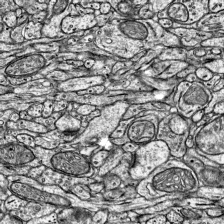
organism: Mouse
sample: Visual Cortex